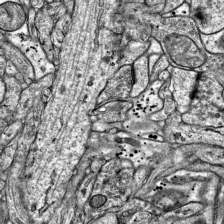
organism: Mouse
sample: Visual Cortex